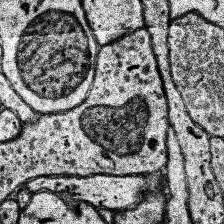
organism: Human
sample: Temporal Lobe